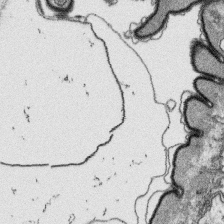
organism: Platynereis dumerilii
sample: Parapodia